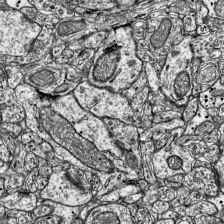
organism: Mouse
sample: Visual Cortex